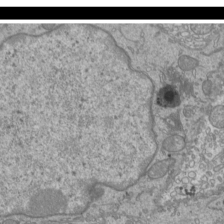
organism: Mouse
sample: Cilia; mouse epididymis